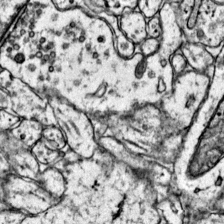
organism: Mouse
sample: Primary visual cortex